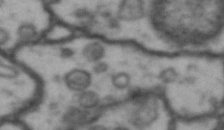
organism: Drosophila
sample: Brain